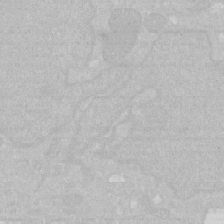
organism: Human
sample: HIV infected U937 cells